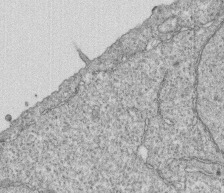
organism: Human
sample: HeLa cell HIV synapse